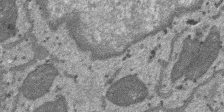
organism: Human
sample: Lung epithelial cells infected with SARS-CoV-2